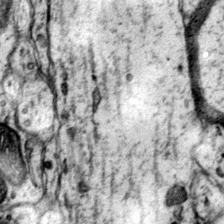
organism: Mouse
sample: Primary visual cortex